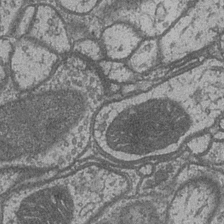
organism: Drosophila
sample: Optic medulla